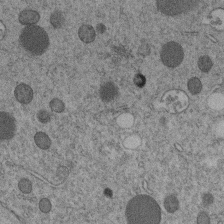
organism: C. elegans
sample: C. elegans embryo early stage